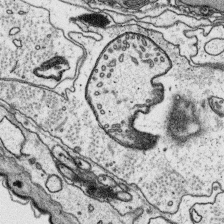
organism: Platynereis dumerilii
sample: Parapodia